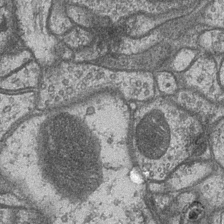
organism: Drosophila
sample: Optic medulla